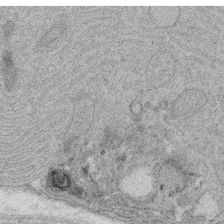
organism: Rat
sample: Salivary granule